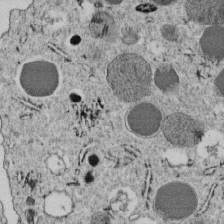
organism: C. elegans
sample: C. elegans embryo early stage